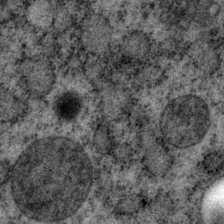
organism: P. pacificus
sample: Pharynx